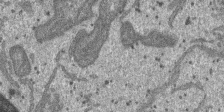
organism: Human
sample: Lung epithelial cells infected with SARS-CoV-2